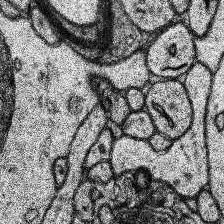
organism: Human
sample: Temporal Lobe